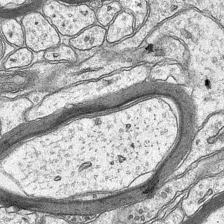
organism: Mouse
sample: CA1 Hippocampus